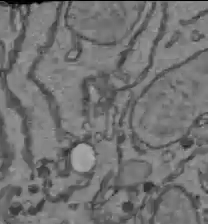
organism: C57BL Mouse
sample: Liver